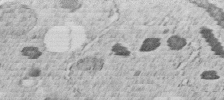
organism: C. elegans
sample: C. elegans embryo early stage